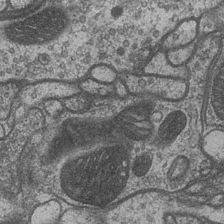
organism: Drosophila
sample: Optic medulla